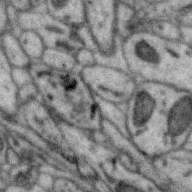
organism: Zebra finch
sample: Brain